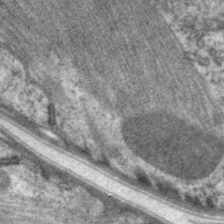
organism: C. elegans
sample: Pharynx